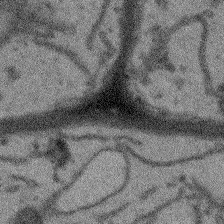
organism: Arabidopsis thaliana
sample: Root tip